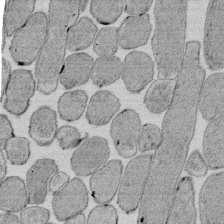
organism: E. coli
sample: Bacterial nucleoid